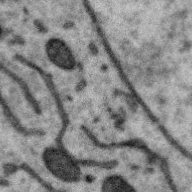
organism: Zebra finch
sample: Brain